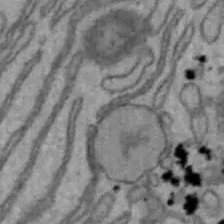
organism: Mouse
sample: Liver